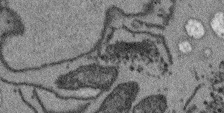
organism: Arabidopsis thaliana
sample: Root tip